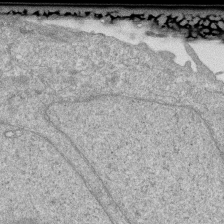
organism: Human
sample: HeLa cell HIV synapse